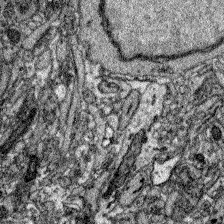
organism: Zebrafish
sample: Larval olfactory bulb